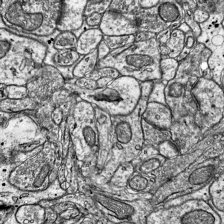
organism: Mouse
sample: Visual Cortex